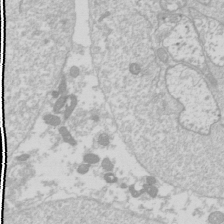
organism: Drosophila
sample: Cell division; meiosis; drosophila spermatocytes